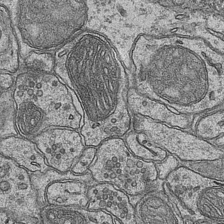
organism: Mouse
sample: CA1 Hippocampus